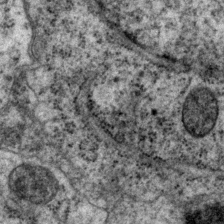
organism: P. pacificus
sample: Pharynx